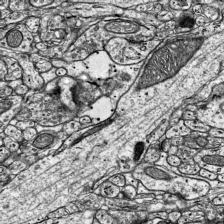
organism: Mouse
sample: Visual Cortex